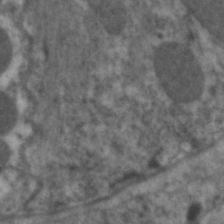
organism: C. elegans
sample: Pharynx